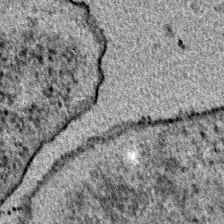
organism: E. coli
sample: E. Coli Bacteria